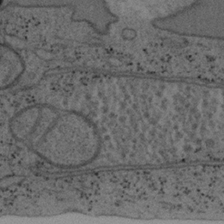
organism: Human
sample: HeLa cells